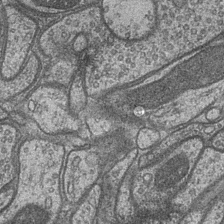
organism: Drosophila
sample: Optic medulla